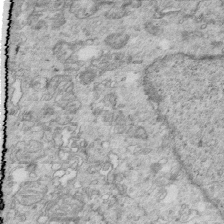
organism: Mouse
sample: Multiciliated cells